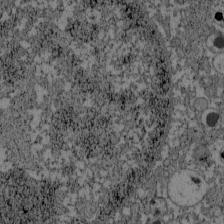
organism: C57BL Mouse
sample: Pancreatic islet